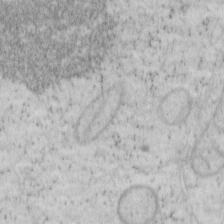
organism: Human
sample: HeLa cells